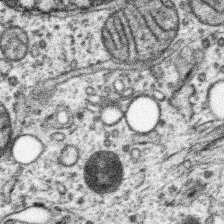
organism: Human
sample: HeLa cells